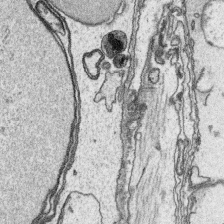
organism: Platynereis dumerilii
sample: Parapodia